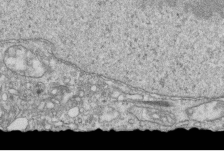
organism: Human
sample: HeLa cell HIV synapse